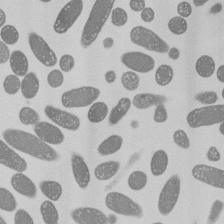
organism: E. coli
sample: Bacterial nucleoid